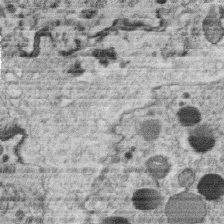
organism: C. elegans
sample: C. elegans oocyte; sperm cells